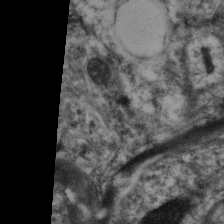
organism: Mouse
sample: Neocortex